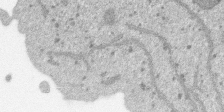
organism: Human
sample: Lung epithelial cells infected with SARS-CoV-2